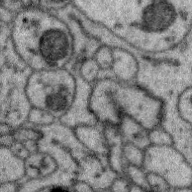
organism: Zebra finch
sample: Brain